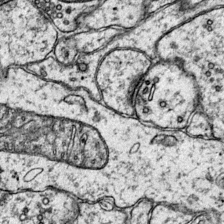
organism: Mouse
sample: Primary visual cortex